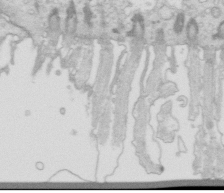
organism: Mouse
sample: Multiciliated cells